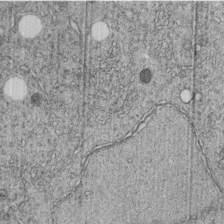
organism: C. elegans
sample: C. elegans embryo early stage